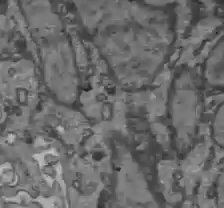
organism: C57BL Mouse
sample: Liver